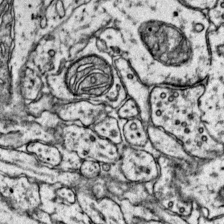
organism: Mouse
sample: Primary visual cortex